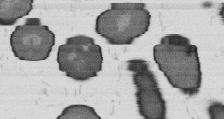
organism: B. subtilis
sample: Bacterial spore